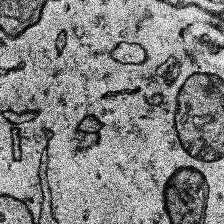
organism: Human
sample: Temporal Lobe